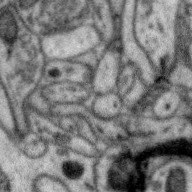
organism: Zebra finch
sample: Brain